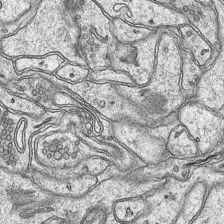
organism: Mouse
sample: CA1 Hippocampus